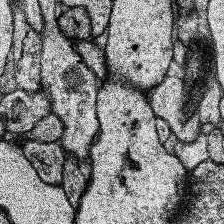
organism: Human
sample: Temporal Lobe